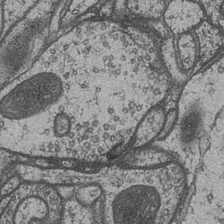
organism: Drosophila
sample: Optic medulla